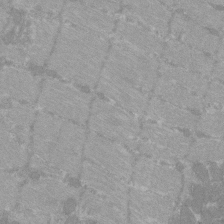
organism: C57BL Mouse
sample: Tibialis anterior muscle cell